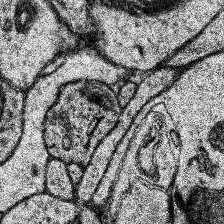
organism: Human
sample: Temporal Lobe